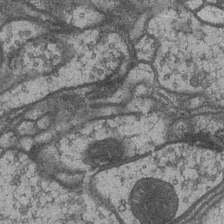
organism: Drosophila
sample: Optic medulla